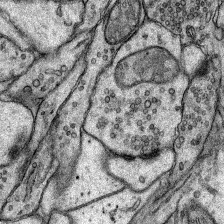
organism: Rat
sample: Hippocampus